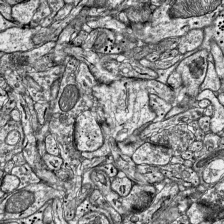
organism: Mouse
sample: Visual Cortex